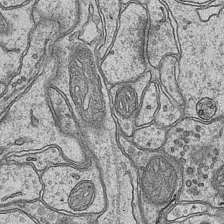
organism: Mouse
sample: CA1 Hippocampus